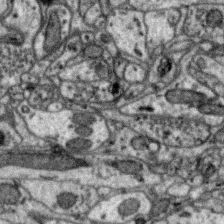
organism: Zebra finch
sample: Brain